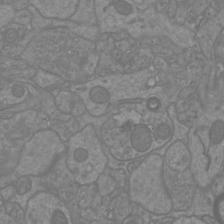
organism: Mouse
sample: Cortical neurons